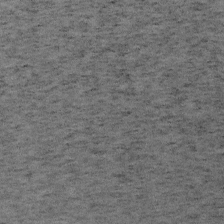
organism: Mouse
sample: OT-I killer T cells with ID8 ovarian cancer cells